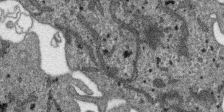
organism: Human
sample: Lung epithelial cells infected with SARS-CoV-2